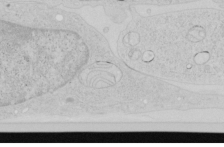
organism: Human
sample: Mitochondria in HCT116 cells